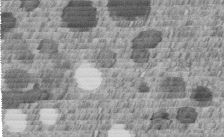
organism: C. elegans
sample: C. elegans embryo early stage